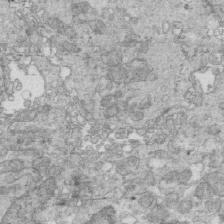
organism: Mouse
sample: Multiciliated cells